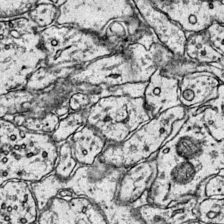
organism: Mouse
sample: Primary visual cortex